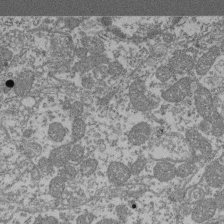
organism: Mouse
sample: Glomerulus